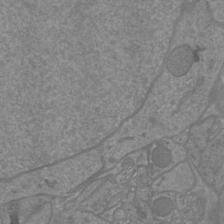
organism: Mouse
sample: Cortical neurons